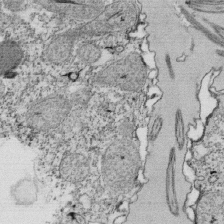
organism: Tetrahymena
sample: Cilia in tetrahymena